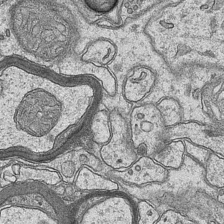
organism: Mouse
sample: CA1 Hippocampus